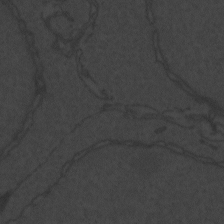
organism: Zebrafish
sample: Macrophage infected with Toxoplasma gondii